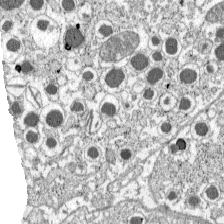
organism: C57BL Mouse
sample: Pancreatic islet